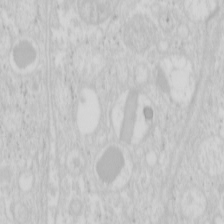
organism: Mouse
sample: Pancreas